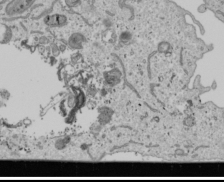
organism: Human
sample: Mitochondria in U2OS cells